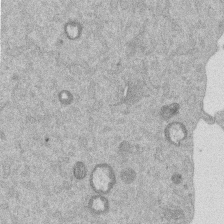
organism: Mouse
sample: Dividing mouse embryo 1 cell stage